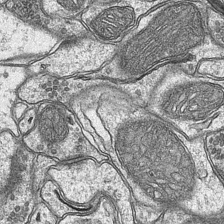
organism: Mouse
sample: CA1 Hippocampus